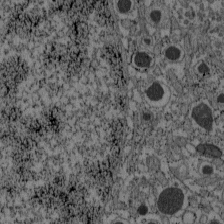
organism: C57BL Mouse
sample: Pancreatic islet